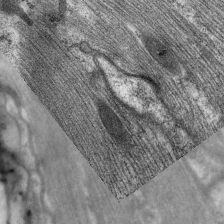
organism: C. elegans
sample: Pharynx